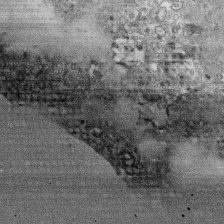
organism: Human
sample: CRL-1474